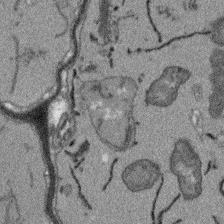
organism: Arabidopsis thaliana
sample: Root tip